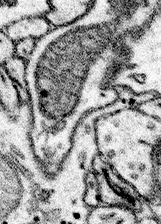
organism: Mouse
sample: Somatosensory cortex neuropil